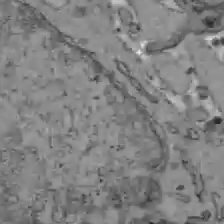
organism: C57BL Mouse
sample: Liver